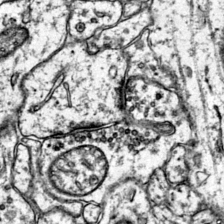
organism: Mouse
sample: Primary visual cortex